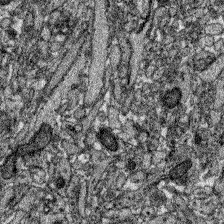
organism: Zebrafish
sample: Larval olfactory bulb